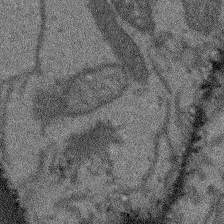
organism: Arabidopsis thaliana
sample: Root tip